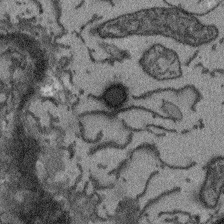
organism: Arabidopsis thaliana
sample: Root tip